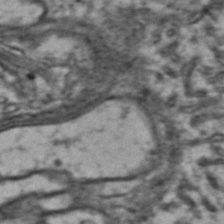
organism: Drosophila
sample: Brain